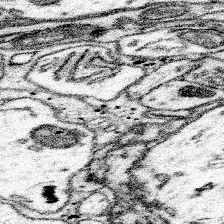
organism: Mouse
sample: Somatosensory cortex neuropil